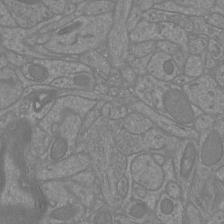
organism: Mouse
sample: Cortical neurons